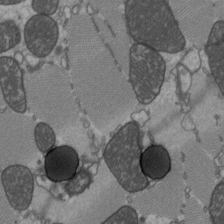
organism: C57BL Mouse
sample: Heart